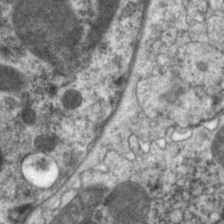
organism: C. elegans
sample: Pharynx